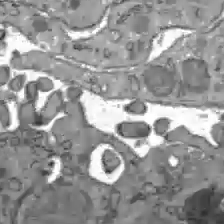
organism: C57BL Mouse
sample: Liver